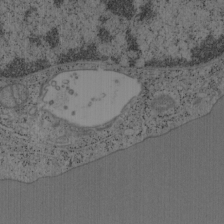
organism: Mouse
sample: OT-I killer T cells with ID8 ovarian cancer cells